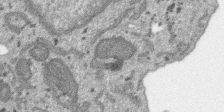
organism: Human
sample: Lung epithelial cells infected with SARS-CoV-2